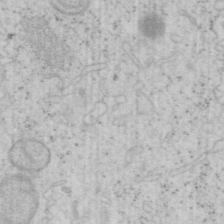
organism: Human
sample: HeLa cells